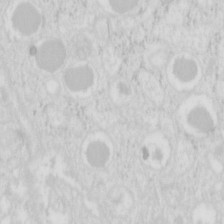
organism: Mouse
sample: Pancreas